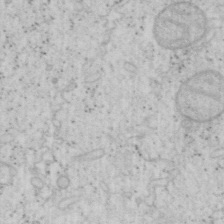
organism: Human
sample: HeLa cells